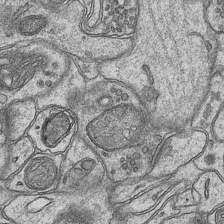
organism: Mouse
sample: CA1 Hippocampus